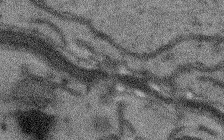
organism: Arabidopsis thaliana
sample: Root tip